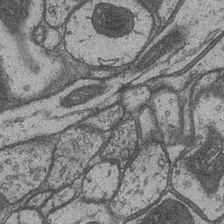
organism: Drosophila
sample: Optic medulla